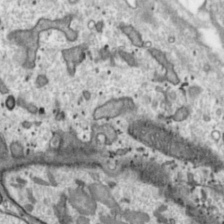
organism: Toxoplasma gondii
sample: Parasites in a vacuole inside a host cell